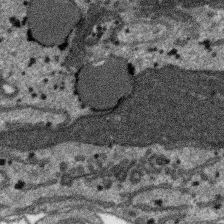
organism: Human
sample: Lung epithelial cells infected with SARS-CoV-2